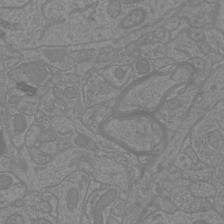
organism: Mouse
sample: Cortical neurons